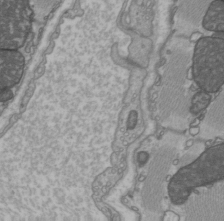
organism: C57BL Mouse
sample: Heart